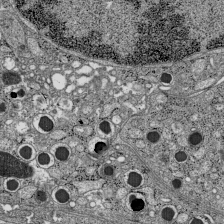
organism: C57BL Mouse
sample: Pancreatic islet